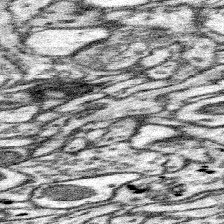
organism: Mouse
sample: Somatosensory cortex neuropil